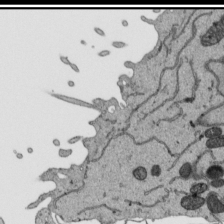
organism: Human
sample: Mitochondria in HCT116 cells